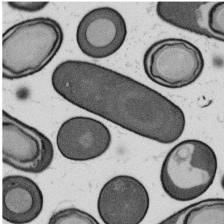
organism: B. subtilis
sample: Bacterial spore